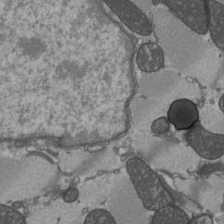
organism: C57BL Mouse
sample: Heart